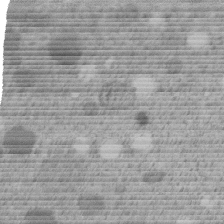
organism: C. elegans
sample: C. elegans embryo early stage